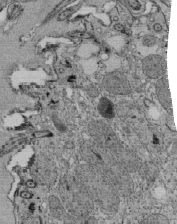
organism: Tetrahymena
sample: Cilia in tetrahymena